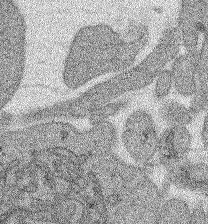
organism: Human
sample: HeLa cells